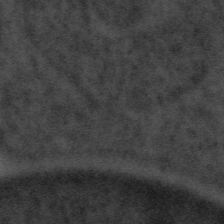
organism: Tuwongella immobilis